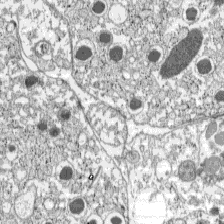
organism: C57BL Mouse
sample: Pancreatic islet